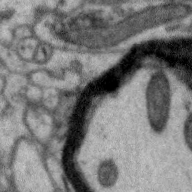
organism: Zebra finch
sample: Brain